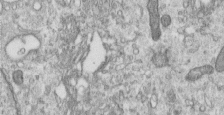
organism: Human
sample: Centriole in RPE cells